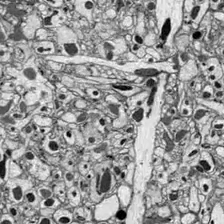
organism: Drosophila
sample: Optic lobe